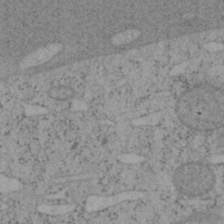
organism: Mouse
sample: OT-I killer T cells with ID8 ovarian cancer cells